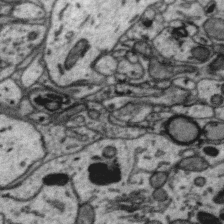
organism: Zebra finch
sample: Brain